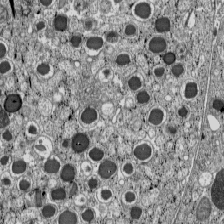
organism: C57BL Mouse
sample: Pancreatic islet